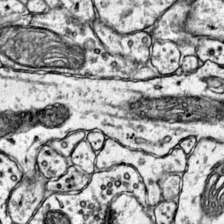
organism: Mouse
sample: Primary visual cortex